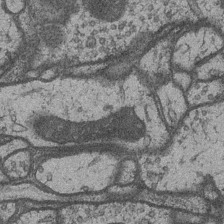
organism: Drosophila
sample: Optic medulla